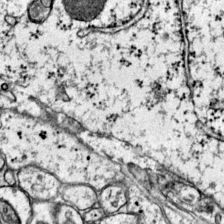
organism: Mouse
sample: Primary visual cortex